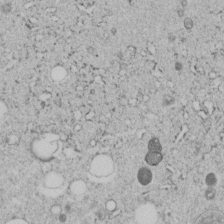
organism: C. elegans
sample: C. elegans embryo early stage